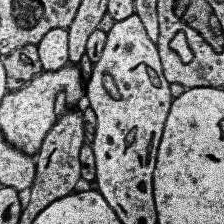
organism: Human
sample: Temporal Lobe